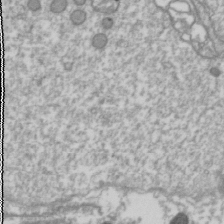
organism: Drosophila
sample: Cell division; meiosis; drosophila spermatocytes